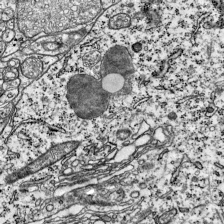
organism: Mouse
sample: Visual Cortex